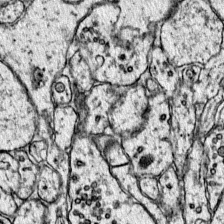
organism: Mouse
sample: Primary visual cortex